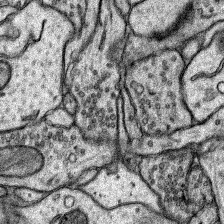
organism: Rat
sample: Hippocampus